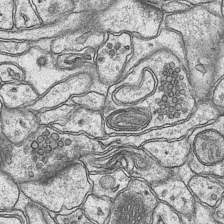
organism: Mouse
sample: CA1 Hippocampus